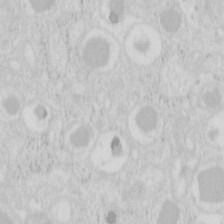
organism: Mouse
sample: Pancreas